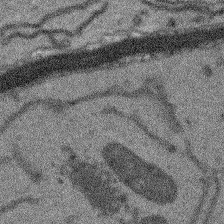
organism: Arabidopsis thaliana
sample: Root tip